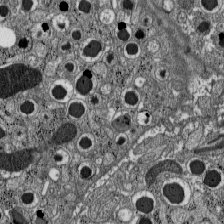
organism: C57BL Mouse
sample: Pancreatic islet